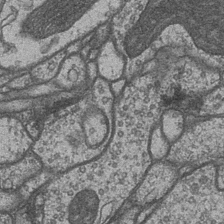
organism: Drosophila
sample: Optic medulla